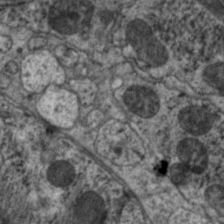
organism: C. elegans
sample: Pharynx